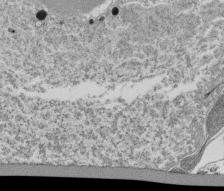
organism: Tetrahymena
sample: Cilia in tetrahymena